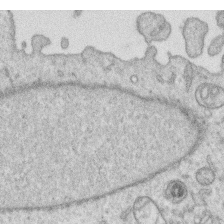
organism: Human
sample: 1205lu cells